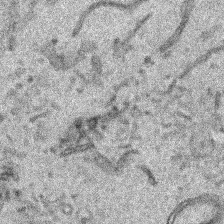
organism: Human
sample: Mitochondria in HCT116 cells